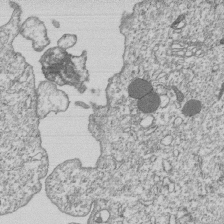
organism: Human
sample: MDA-MB-231 cells